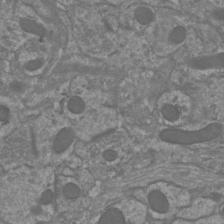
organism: Mouse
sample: Cortical neurons